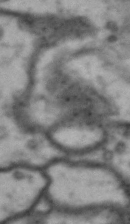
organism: Drosophila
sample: Brain